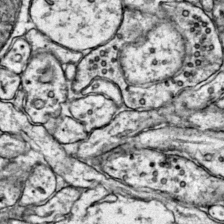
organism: Mouse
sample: Primary visual cortex